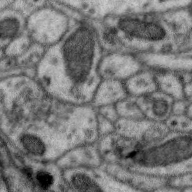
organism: Zebra finch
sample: Brain